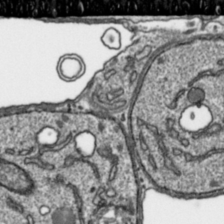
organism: Toxoplasma gondii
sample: Parasites in a vacuole inside a host cell